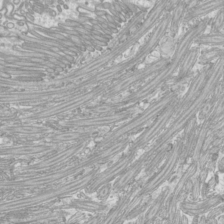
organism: Mouse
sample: Cilia; mouse epididymis